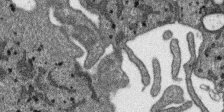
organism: Human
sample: Lung epithelial cells infected with SARS-CoV-2